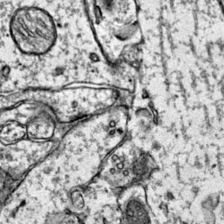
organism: Mouse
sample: Primary visual cortex